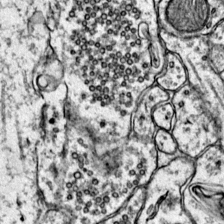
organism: Mouse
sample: Primary visual cortex